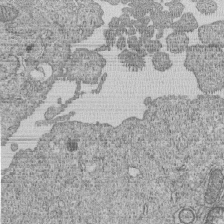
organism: Human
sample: MDA-MB-231 cells